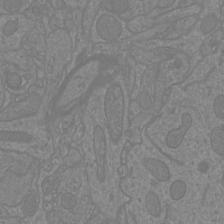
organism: Mouse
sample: Cortical neurons